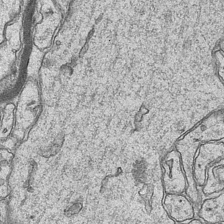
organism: Mouse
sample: CA1 Hippocampus